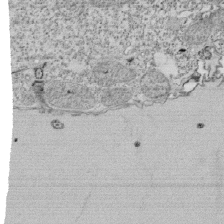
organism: Tetrahymena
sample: Cilia in tetrahymena